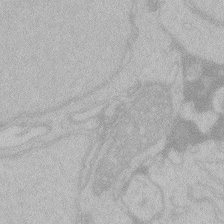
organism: Zebrafish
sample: Macrophage infected with Toxoplasma gondii